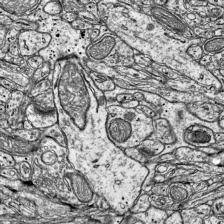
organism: Mouse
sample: Visual Cortex